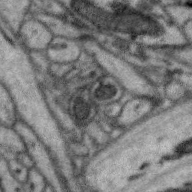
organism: Zebra finch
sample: Brain